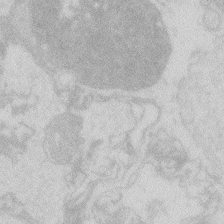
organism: Zebrafish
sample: Macrophage